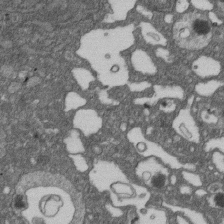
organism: Drosophila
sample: Nephrocyte